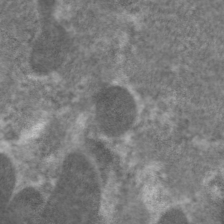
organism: C. elegans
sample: Pharynx